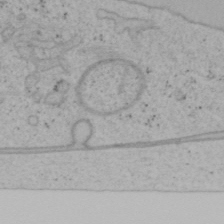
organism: Human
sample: HeLa cells